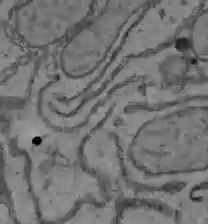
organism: C57BL Mouse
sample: Liver